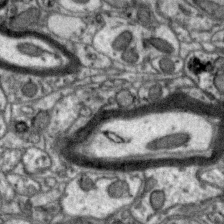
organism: Zebra finch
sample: Brain